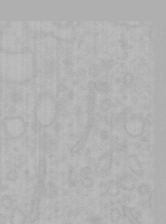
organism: Mouse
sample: Choroid plexus